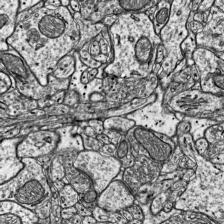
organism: Mouse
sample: Visual Cortex